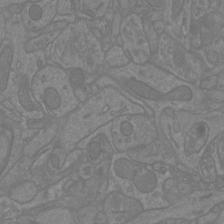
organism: Mouse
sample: Cortical neurons